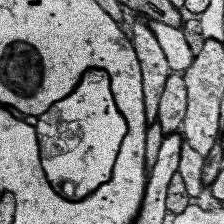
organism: Human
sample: Temporal Lobe